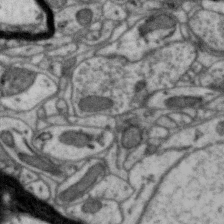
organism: Zebra finch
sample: Brain